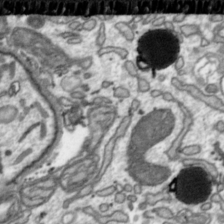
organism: Toxoplasma gondii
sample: Parasites in a vacuole inside a host cell